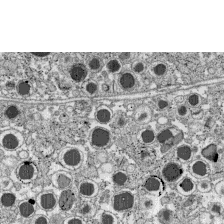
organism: C57BL Mouse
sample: Pancreatic islet